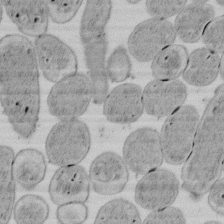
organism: E. coli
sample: Bacterial nucleoid